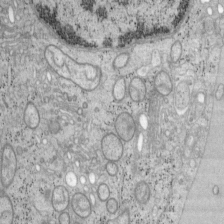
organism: Mouse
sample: OT-I killer T cells with ID8 ovarian cancer cells